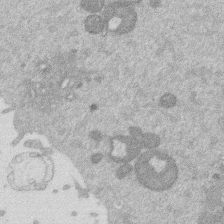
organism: Mouse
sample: Dividing mouse embryo 1 cell stage